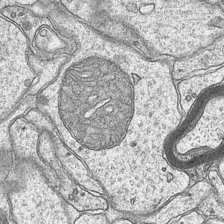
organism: Mouse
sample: CA1 Hippocampus